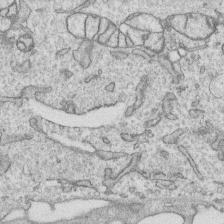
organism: Human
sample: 1205lu cells